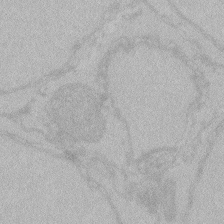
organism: Zebrafish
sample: Macrophage infected with Toxoplasma gondii